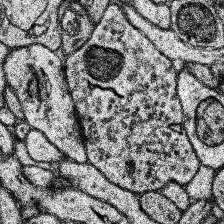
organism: Human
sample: Temporal Lobe